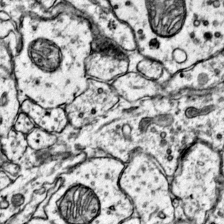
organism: Mouse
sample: Primary visual cortex